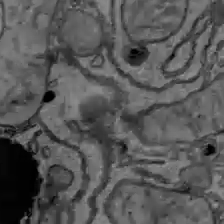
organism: C57BL Mouse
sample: Liver